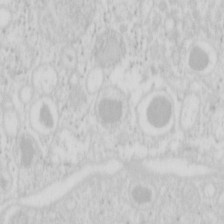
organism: Mouse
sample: Pancreas